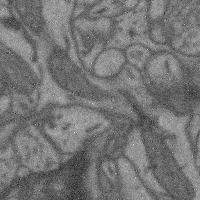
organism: Mouse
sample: Cerebral cortex